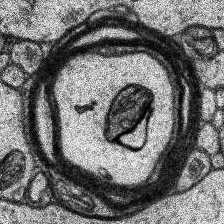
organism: Human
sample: Temporal Lobe